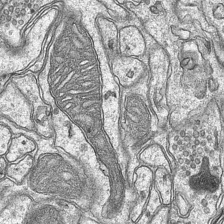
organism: Mouse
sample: CA1 Hippocampus